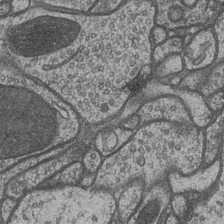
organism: Drosophila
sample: Optic medulla